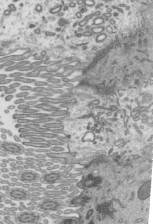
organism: Mouse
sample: Mouse epididymis efferent ductule cilia